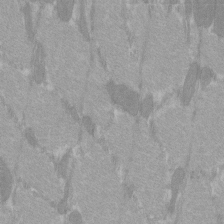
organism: C57BL Mouse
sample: Tibialis anterior muscle cell